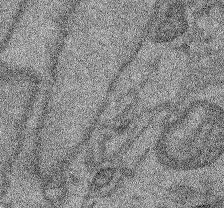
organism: Human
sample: HeLa cells